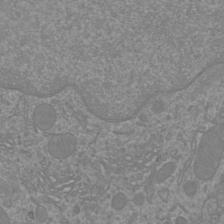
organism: Mouse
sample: Cortical neurons